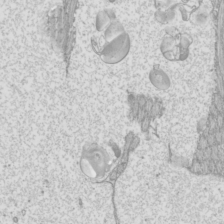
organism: Mouse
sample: Cilia; mouse epididymis